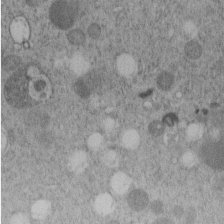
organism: C. elegans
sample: C. elegans embryo early stage